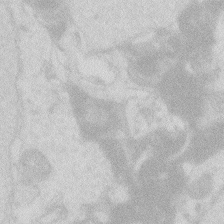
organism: Zebrafish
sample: Macrophage